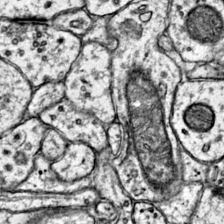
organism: Mouse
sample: Primary visual cortex